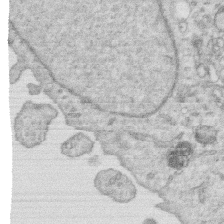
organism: Human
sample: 1205lu cells